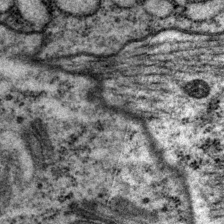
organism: P. pacificus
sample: Pharynx